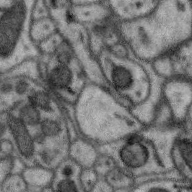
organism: Zebra finch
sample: Brain